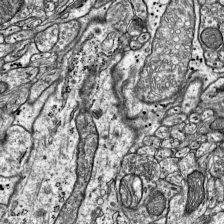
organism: Mouse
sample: Visual Cortex